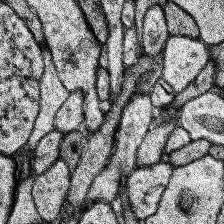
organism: Human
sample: Temporal Lobe